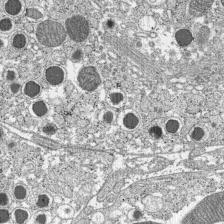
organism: C57BL Mouse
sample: Pancreatic islet